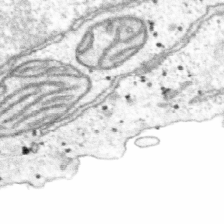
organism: Human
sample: HeLa cells